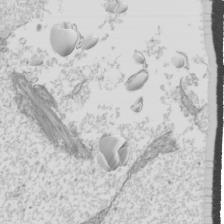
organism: Mouse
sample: Cilia; mouse epididymis